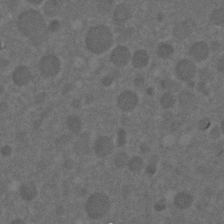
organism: C. elegans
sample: C. elegans embryo